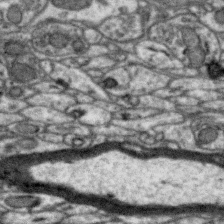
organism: Zebra finch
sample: Brain